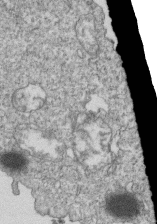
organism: Human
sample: HeLa cell HIV synapse